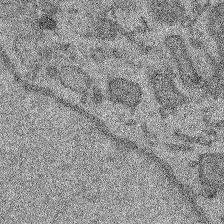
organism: Human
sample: HeLa cells